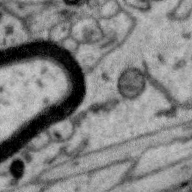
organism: Zebra finch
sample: Brain